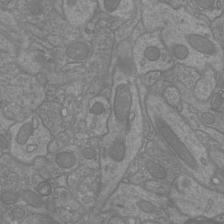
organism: Mouse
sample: Cortical neurons